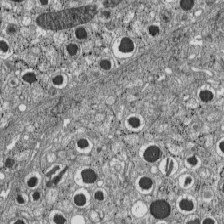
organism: C57BL Mouse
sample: Pancreatic islet